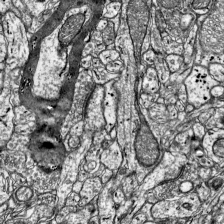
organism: Mouse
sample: Visual Cortex